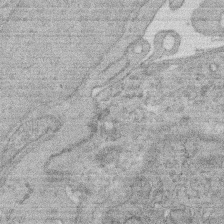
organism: Rat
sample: Salivary granule